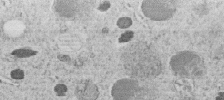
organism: C. elegans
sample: C. elegans embryo early stage